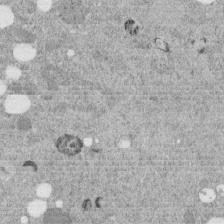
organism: C. elegans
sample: C. elegans embryo early stage